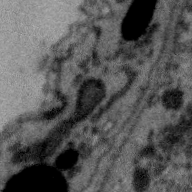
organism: Zebra finch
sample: Brain